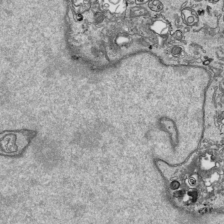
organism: Human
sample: Mitochondria in HCT116 cells